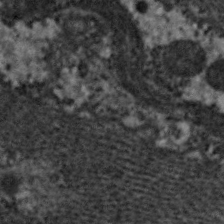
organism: C. elegans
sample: Pharynx